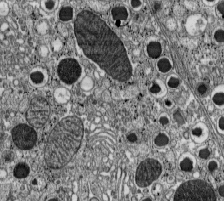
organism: C57BL Mouse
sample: Pancreatic islet